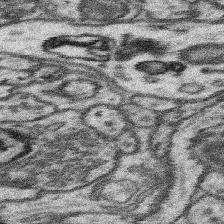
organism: Mouse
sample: Somatosensory cortex neuropil